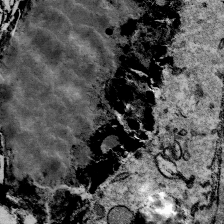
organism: Mouse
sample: Mouse Salivary gland